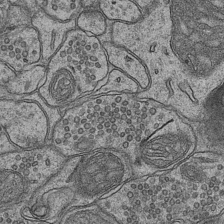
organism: Mouse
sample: CA1 Hippocampus